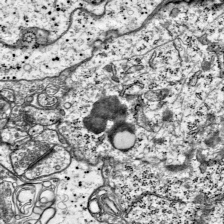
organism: Mouse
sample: Visual Cortex